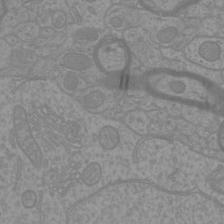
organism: Mouse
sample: Cortical neurons